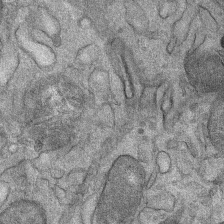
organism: Mouse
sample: Mouse Salivary gland